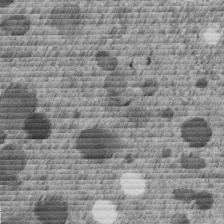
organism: C. elegans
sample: C. elegans embryo early stage